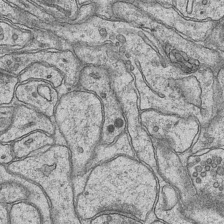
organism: Mouse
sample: CA1 Hippocampus